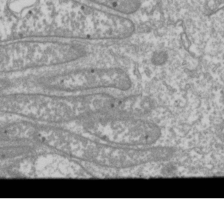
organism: Drosophila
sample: Cell division; meiosis; drosophila spermatocytes